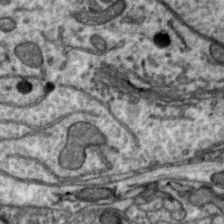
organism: Zebra finch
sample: Brain